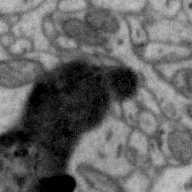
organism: Zebra finch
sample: Brain